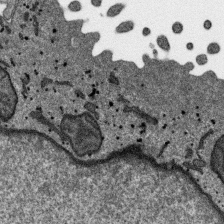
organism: Human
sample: Lung epithelial cells, uninfected (mock) control